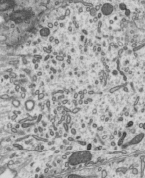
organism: Mouse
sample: Mouse epididymis efferent ductule cilia